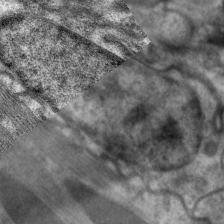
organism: C. elegans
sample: Pharynx